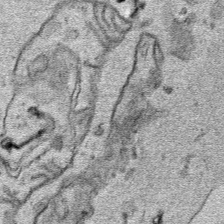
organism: Human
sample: Mitochondria in HCT116 cells